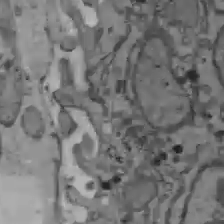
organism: C57BL Mouse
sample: Liver